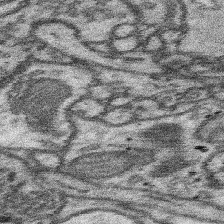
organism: Mouse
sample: Somatosensory cortex neuropil